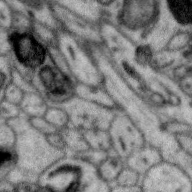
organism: Zebra finch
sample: Brain